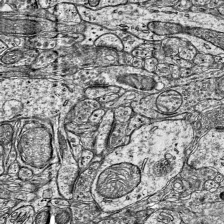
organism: Mouse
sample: Visual Cortex